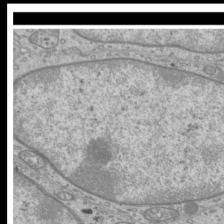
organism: Mouse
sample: Cilia; mouse epididymis